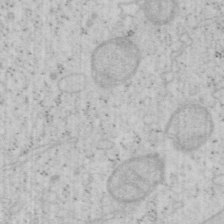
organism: Human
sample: HeLa cells